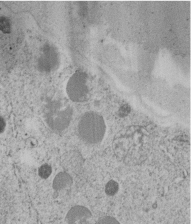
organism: C. elegans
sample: C. elegans embryo early stage